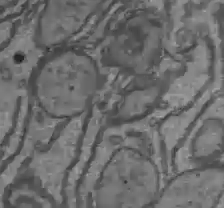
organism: C57BL Mouse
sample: Liver